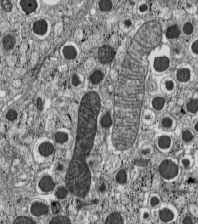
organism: C57BL Mouse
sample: Pancreatic islet